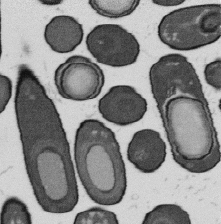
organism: B. subtilis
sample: Bacterial spore